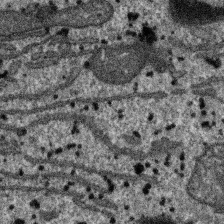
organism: Human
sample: Lung epithelial cells infected with SARS-CoV-2